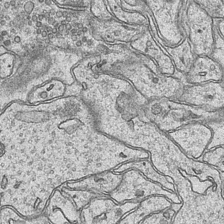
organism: Mouse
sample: CA1 Hippocampus